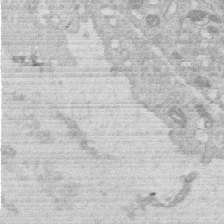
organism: Human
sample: Macrophage cells